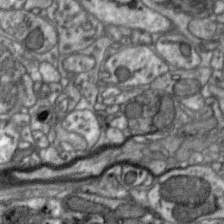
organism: Zebra finch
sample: Brain